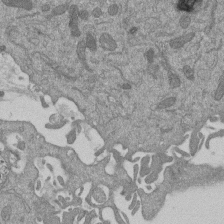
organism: Mouse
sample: ED-1 cell nuclei; centrioles